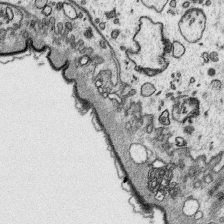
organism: Platynereis dumerilii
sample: Parapodia